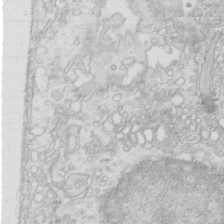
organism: Mouse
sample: Multiciliated cells